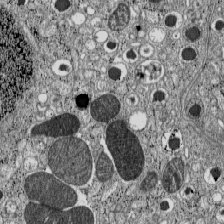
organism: C57BL Mouse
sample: Pancreatic islet